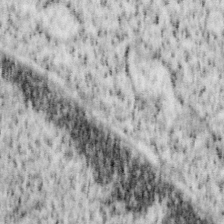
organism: Mouse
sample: OT-I killer T cells with ID8 ovarian cancer cells